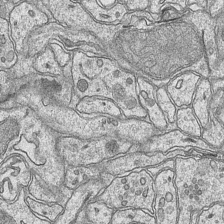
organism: Mouse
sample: CA1 Hippocampus